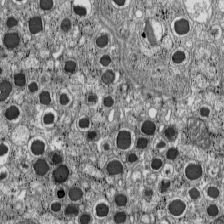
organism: C57BL Mouse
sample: Pancreatic islet